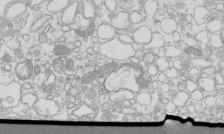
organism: Mouse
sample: Macrophages